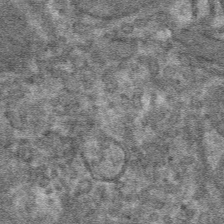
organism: Mouse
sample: Mouse hepatocytes